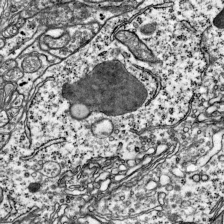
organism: Mouse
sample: Visual Cortex